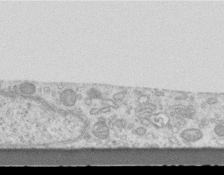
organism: Mouse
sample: Centriole in ependymal cells